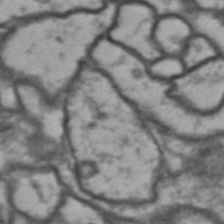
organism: Drosophila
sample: Brain